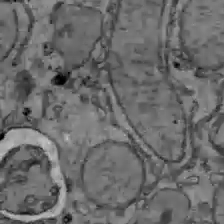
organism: C57BL Mouse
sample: Liver